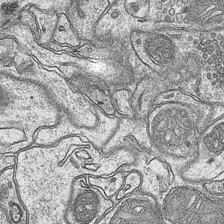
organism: Mouse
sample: CA1 Hippocampus